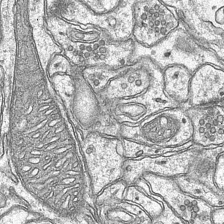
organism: Mouse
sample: CA1 Hippocampus